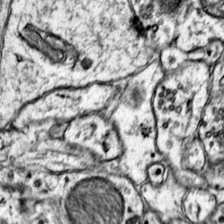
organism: Mouse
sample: Primary visual cortex